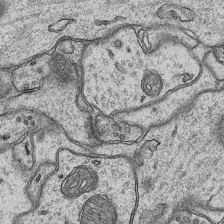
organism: Mouse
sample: CA1 Hippocampus